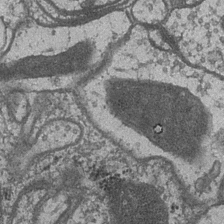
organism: Drosophila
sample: Optic medulla